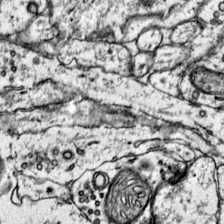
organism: Mouse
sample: Primary visual cortex